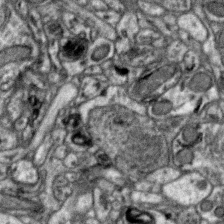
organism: Zebra finch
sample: Brain